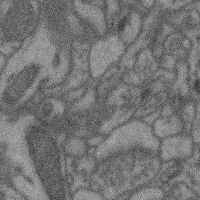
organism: Mouse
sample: Cerebral cortex